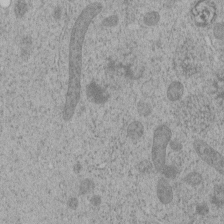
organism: C. elegans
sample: C. elegans embryo early stage